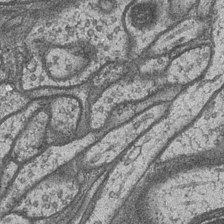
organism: Drosophila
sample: Optic medulla